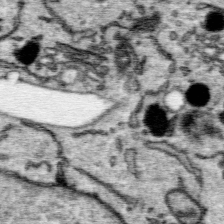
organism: Human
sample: HeLa cells